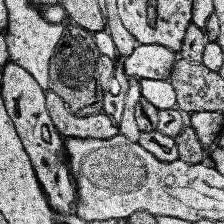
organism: Human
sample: Temporal Lobe